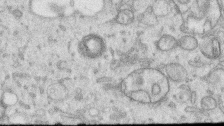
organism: Human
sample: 1205lu cells